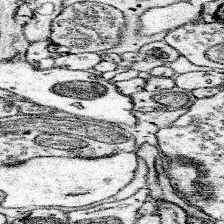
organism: Mouse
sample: Somatosensory cortex neuropil